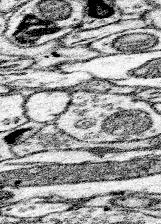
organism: Mouse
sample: Somatosensory cortex neuropil